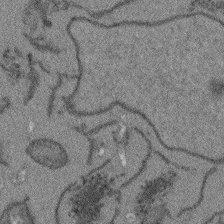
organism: Arabidopsis thaliana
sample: Root tip